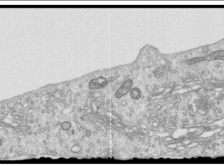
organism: Human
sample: Centriole in RPE cells